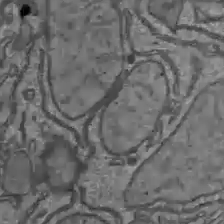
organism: C57BL Mouse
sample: Liver